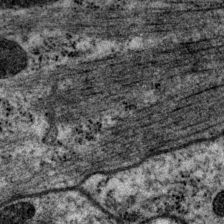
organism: P. pacificus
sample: Pharynx